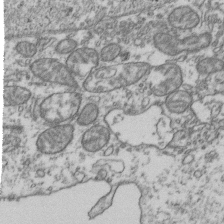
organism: Human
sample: Activated Jurkat CD4+ T cells